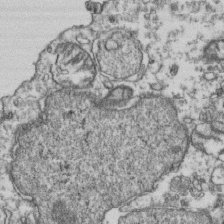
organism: Human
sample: Activated Jurkat CD4+ T cells